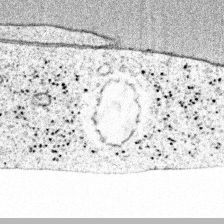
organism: Human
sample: HeLa cells